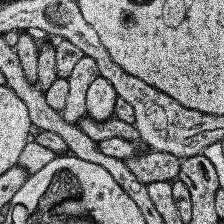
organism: Human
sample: Temporal Lobe